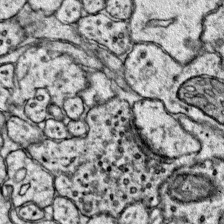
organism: Mouse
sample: Primary visual cortex